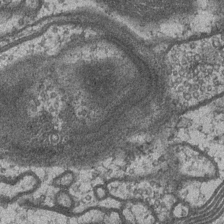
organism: Drosophila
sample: Optic medulla